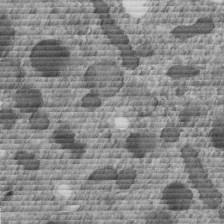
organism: C. elegans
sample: C. elegans embryo early stage